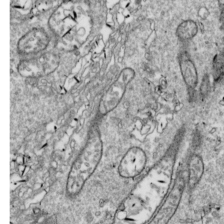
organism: Drosophila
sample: Cell division; meiosis; drosophila spermatocytes